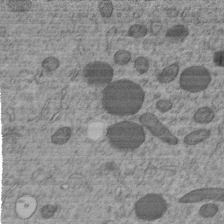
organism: C. elegans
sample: C. elegans embryo early stage